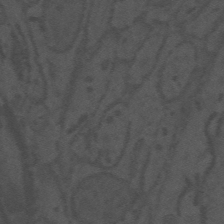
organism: Mouse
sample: Suprachiasmatic nucleus